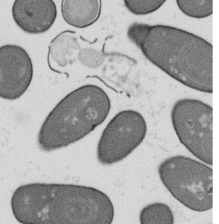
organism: B. subtilis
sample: Bacterial spore